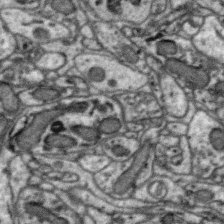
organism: Zebra finch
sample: Brain